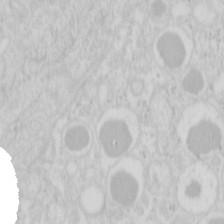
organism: Mouse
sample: Pancreas